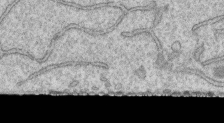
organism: Human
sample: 1205lu cells